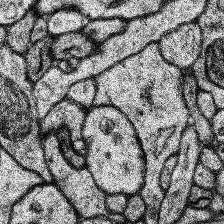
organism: Human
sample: Temporal Lobe